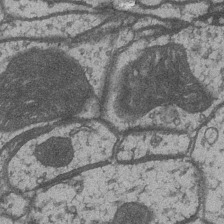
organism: Drosophila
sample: Optic medulla